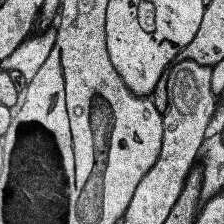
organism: Human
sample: Temporal Lobe